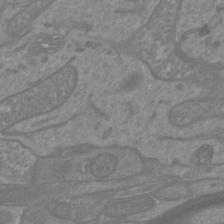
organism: Mouse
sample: Cortical neurons